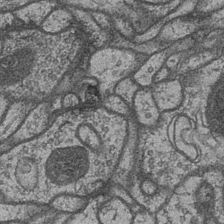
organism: Drosophila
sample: Optic medulla